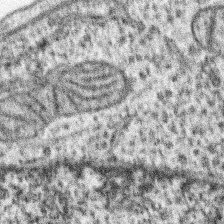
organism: Human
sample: HeLa cells